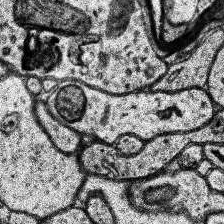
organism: Human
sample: Temporal Lobe